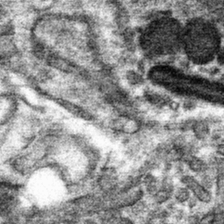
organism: Mouse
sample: Mouse hepatocytes